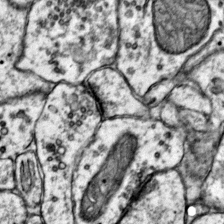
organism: Mouse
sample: Primary visual cortex